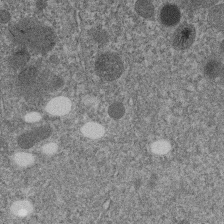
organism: C. elegans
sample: C. elegans embryo early stage